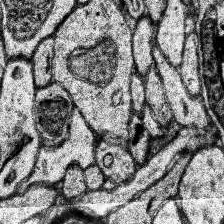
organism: Human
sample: Temporal Lobe